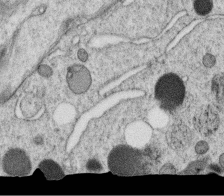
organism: C. elegans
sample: C. elegans oocyte; sperm cells